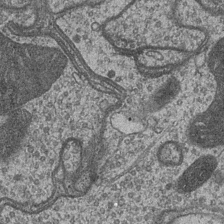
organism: Drosophila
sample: Optic medulla